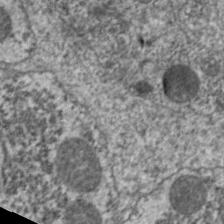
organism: C. elegans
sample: Pharynx